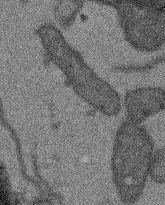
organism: Arabidopsis thaliana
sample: Root tip